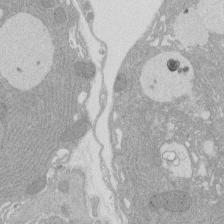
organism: Rat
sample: Salivary granule